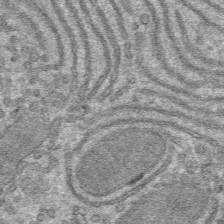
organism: Mouse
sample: Mouse hepatocytes